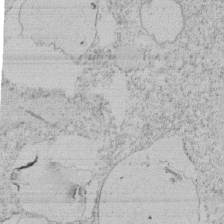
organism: Tetrahymena